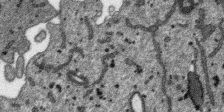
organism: Human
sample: Lung epithelial cells infected with SARS-CoV-2